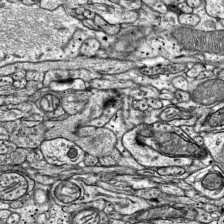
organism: Mouse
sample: Visual Cortex